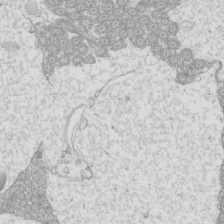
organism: Mouse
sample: Cilia; mouse epididymis